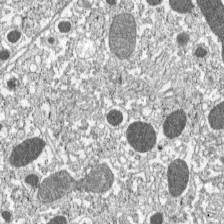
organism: C57BL Mouse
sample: Pancreatic islet